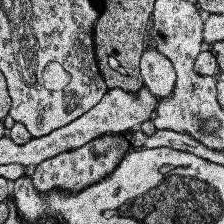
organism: Human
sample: Temporal Lobe